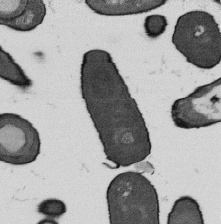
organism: B. subtilis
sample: Bacterial spore